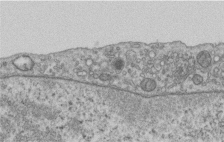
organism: Human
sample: Centriole in RPE cells